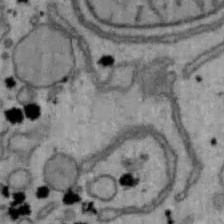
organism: Mouse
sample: Liver